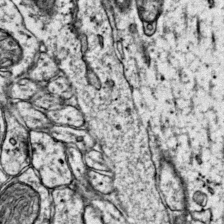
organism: Mouse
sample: Primary visual cortex